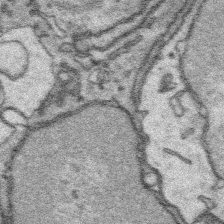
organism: Platynereis dumerilii